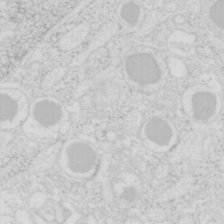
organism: Mouse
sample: Pancreas